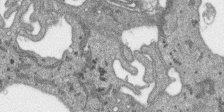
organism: Human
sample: Lung epithelial cells infected with SARS-CoV-2